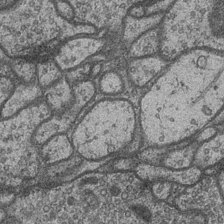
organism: Drosophila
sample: Optic medulla